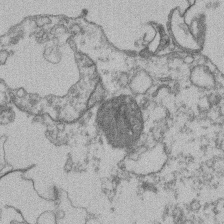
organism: Mouse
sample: T cell stromal cell synapse